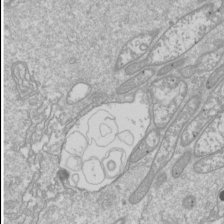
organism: Drosophila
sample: Cell division; meiosis; drosophila spermatocytes